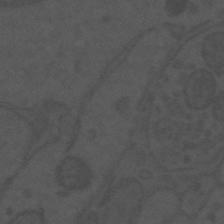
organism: Mouse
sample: Suprachiasmatic nucleus